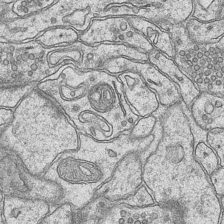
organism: Mouse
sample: CA1 Hippocampus